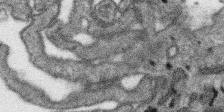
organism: Human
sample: Lung epithelial cells infected with SARS-CoV-2